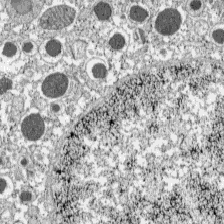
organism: C57BL Mouse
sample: Pancreatic islet